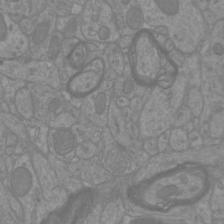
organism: Mouse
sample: Cortical neurons